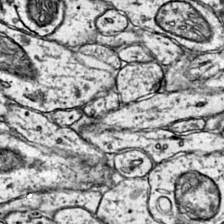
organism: Mouse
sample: Primary visual cortex